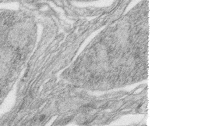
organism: Zebrafish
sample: synaptic ribbons in rod cells and cone cells